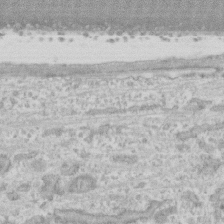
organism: Human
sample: CRL-1474